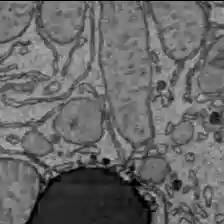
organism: C57BL Mouse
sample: Liver